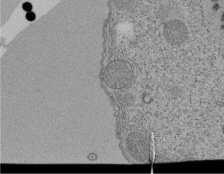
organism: Tetrahymena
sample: Cilia in tetrahymena